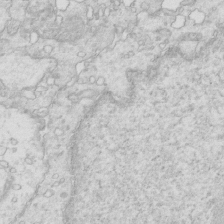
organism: Mouse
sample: Multiciliated cells